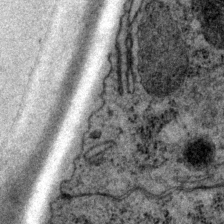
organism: P. pacificus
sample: Pharynx